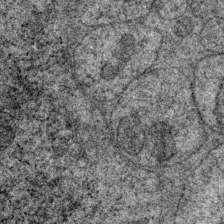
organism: P. pacificus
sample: Pharynx